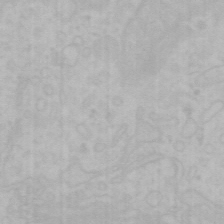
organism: Mouse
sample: Choroid plexus